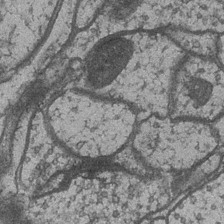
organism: Drosophila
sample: Optic medulla